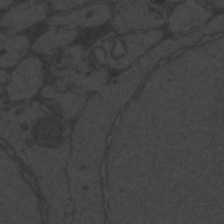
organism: Zebrafish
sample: Macrophage infected with Toxoplasma gondii